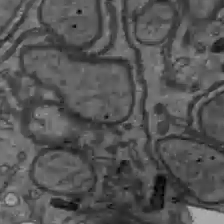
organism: C57BL Mouse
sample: Liver